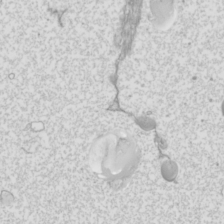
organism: Mouse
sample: Cilia; mouse epididymis